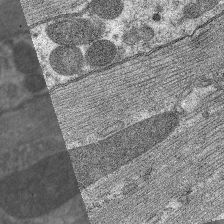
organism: C. elegans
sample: Pharynx